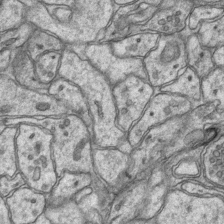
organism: Mouse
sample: CA1 Hippocampus